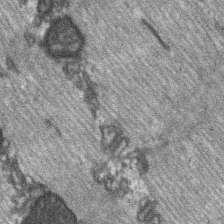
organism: C57BL Mouse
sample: Soleus